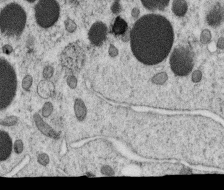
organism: C. elegans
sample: C. elegans oocyte; sperm cells